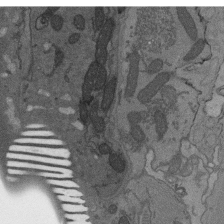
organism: C. elegans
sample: AFD neurons C. elegans